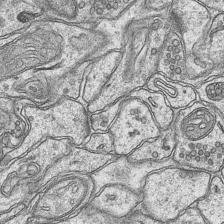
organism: Mouse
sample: CA1 Hippocampus